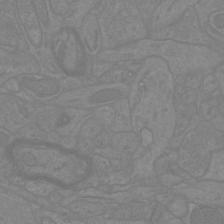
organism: Mouse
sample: Cortical neurons